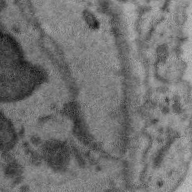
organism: Zebra finch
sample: Brain